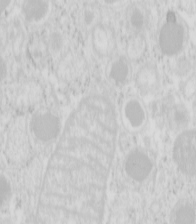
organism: Mouse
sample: Pancreas